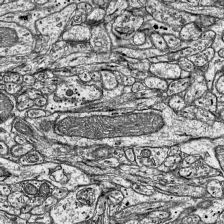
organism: Mouse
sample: Visual Cortex